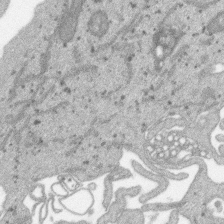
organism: Human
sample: Lung epithelial cells infected with SARS-CoV-2